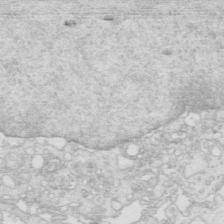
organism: Mouse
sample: Multiciliated cells